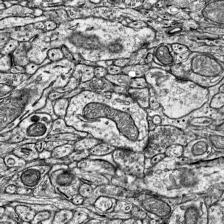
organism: Mouse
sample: Visual Cortex